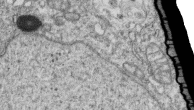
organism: Human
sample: HeLa cell HIV synapse